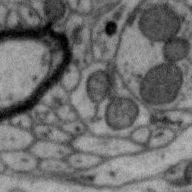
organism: Zebra finch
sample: Brain